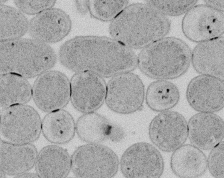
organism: E. coli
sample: Bacterial nucleoid